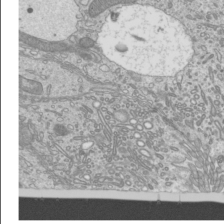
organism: Mouse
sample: Cilia; mouse epididymis